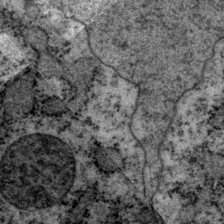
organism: P. pacificus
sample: Pharynx